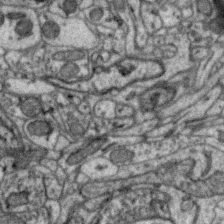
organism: Zebra finch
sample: Brain